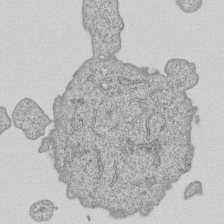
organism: Human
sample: MDA-MB-231 cells